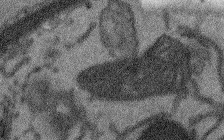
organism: Arabidopsis thaliana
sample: Root tip